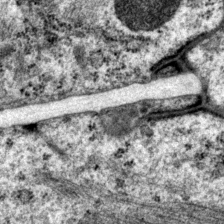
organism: P. pacificus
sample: Pharynx